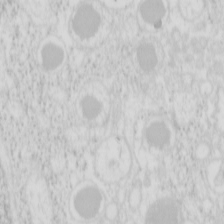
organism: Mouse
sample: Pancreas